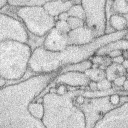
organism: Rabbit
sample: Retina